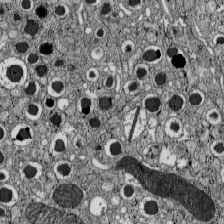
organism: C57BL Mouse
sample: Pancreatic islet